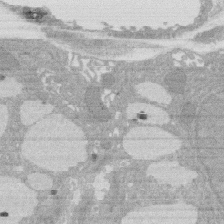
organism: Rat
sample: Salivary granule